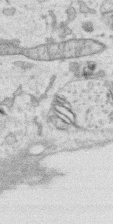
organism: Human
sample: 1205lu cells